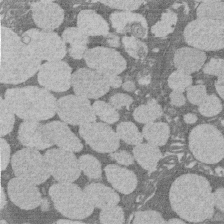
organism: Rat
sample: Salivary granule